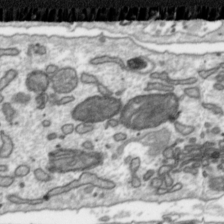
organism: Toxoplasma gondii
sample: Parasites in a vacuole inside a host cell